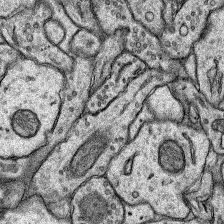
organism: Rat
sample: Hippocampus